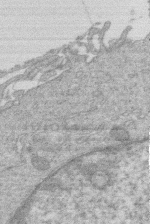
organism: Human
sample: Macrophage cells